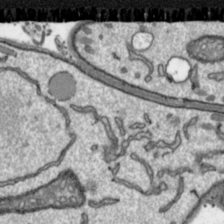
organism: Toxoplasma gondii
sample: Parasites in a vacuole inside a host cell